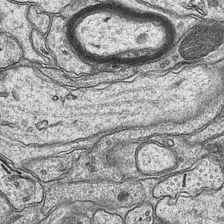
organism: Mouse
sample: CA1 Hippocampus